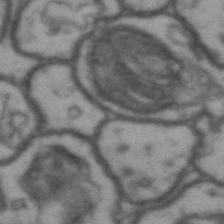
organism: Drosophila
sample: Brain